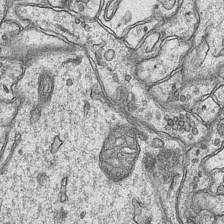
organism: Mouse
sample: CA1 Hippocampus